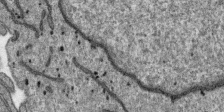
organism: Human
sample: Lung epithelial cells, uninfected (mock) control